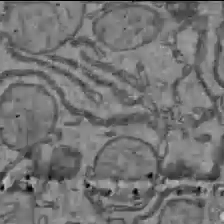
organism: C57BL Mouse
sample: Liver